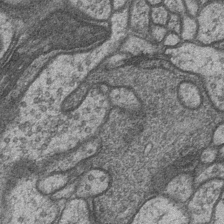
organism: Drosophila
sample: Optic medulla